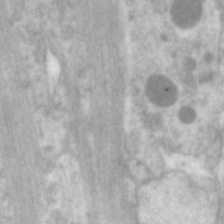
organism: C. elegans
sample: Pharynx